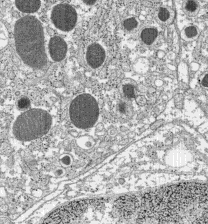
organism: C57BL Mouse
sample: Pancreatic islet